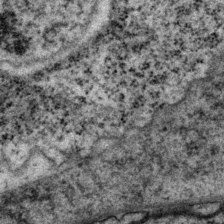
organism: P. pacificus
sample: Pharynx